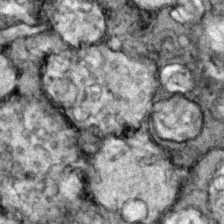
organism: Zebrafish